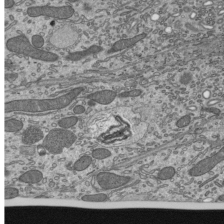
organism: Mouse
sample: Mouse epididymis efferent ductule cilia